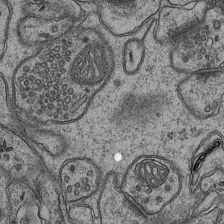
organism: Mouse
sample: CA1 Hippocampus